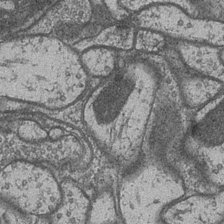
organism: Drosophila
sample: Optic medulla